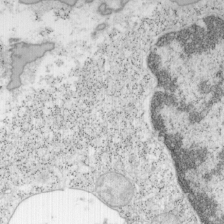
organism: Mouse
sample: OT-I killer T cells with ID8 ovarian cancer cells